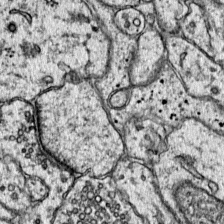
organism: Mouse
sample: Primary visual cortex